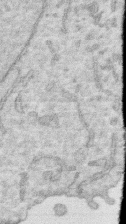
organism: Human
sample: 1205lu cells